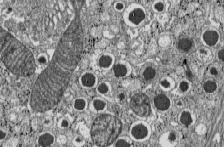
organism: C57BL Mouse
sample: Pancreatic islet